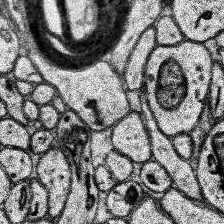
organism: Human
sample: Temporal Lobe